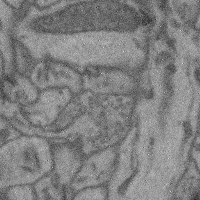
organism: Mouse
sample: Cerebral cortex